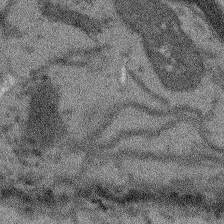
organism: Arabidopsis thaliana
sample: Root tip